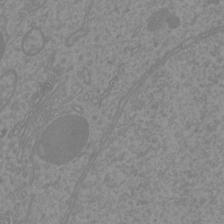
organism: Mouse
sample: Cortical neurons